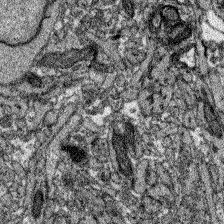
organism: Zebrafish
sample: Larval olfactory bulb